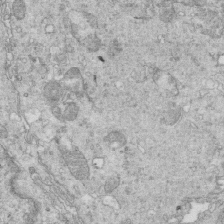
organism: Mouse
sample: Multiciliated cells